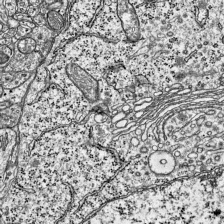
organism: Mouse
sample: Visual Cortex